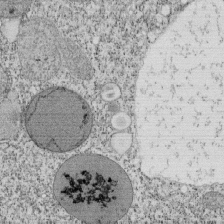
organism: Tetrahymena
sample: Cilia in tetrahymena